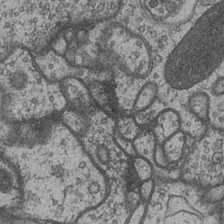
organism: Drosophila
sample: Optic medulla